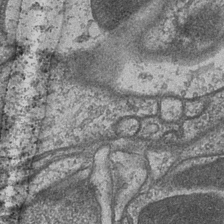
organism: Drosophila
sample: Optic medulla